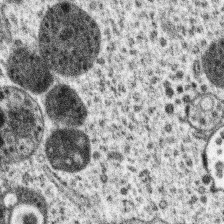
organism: Human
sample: HeLa cells